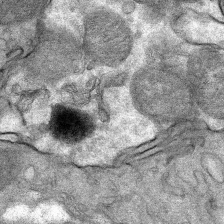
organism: Mouse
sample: Mouse Salivary gland